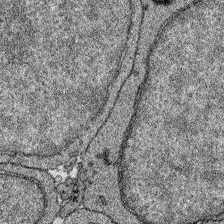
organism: Zebrafish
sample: Larval olfactory bulb